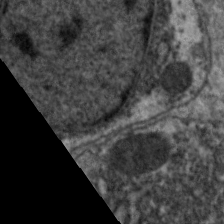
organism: C. elegans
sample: Pharynx